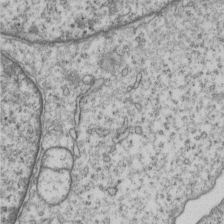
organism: Human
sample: MDA-MB-231 cells